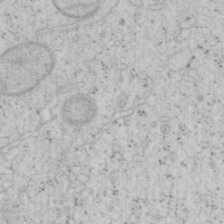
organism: Human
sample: HeLa cells